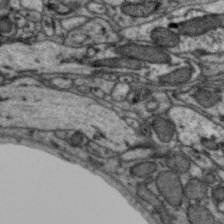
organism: Zebra finch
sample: Brain